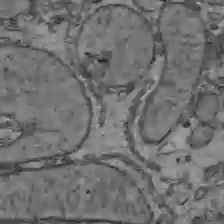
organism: C57BL Mouse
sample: Liver